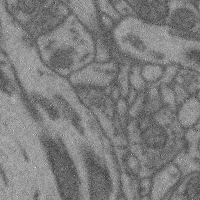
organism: Mouse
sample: Cerebral cortex